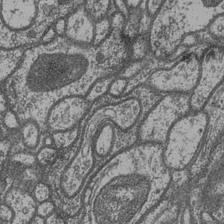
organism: Drosophila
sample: Optic medulla